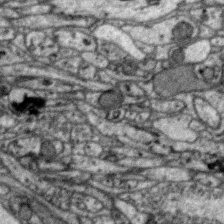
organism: Zebra finch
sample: Brain